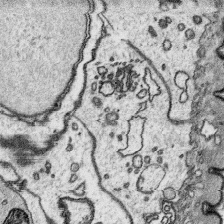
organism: Platynereis dumerilii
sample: Parapodia